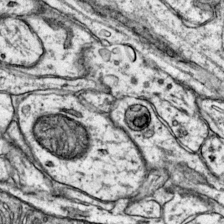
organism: Mouse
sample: Primary visual cortex